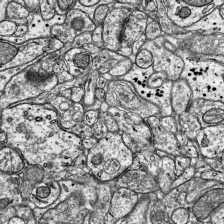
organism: Mouse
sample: Visual Cortex